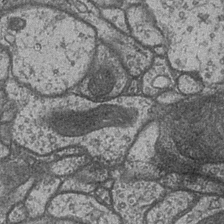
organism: Drosophila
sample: Optic medulla